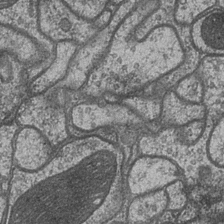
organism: Drosophila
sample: Optic medulla